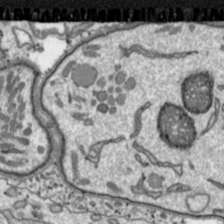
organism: Toxoplasma gondii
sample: Parasites in a vacuole inside a host cell